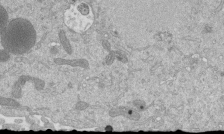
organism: Mouse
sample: ED-1 cell nuclei; centrioles